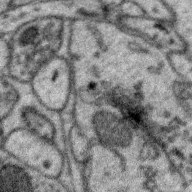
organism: Zebra finch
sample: Brain